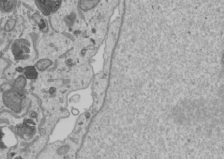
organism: Human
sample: Mitochondria in U2OS cells